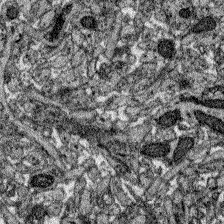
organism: Zebrafish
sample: Larval olfactory bulb